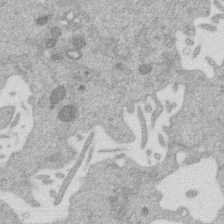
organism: Mouse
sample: Dividing mouse embryo 1 cell stage